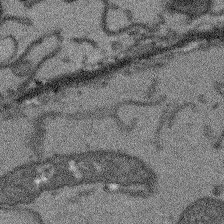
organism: Arabidopsis thaliana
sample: Root tip